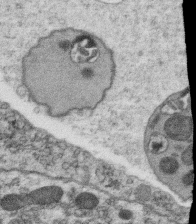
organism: C. elegans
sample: C. elegans oocyte; sperm cells